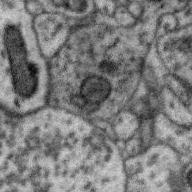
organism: Zebra finch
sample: Brain